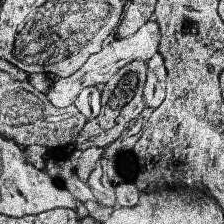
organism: Human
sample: Temporal Lobe